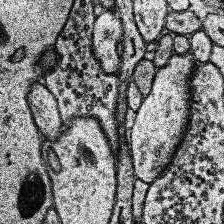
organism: Human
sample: Temporal Lobe